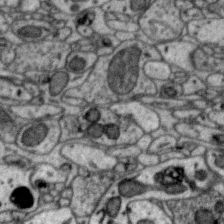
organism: Zebra finch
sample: Brain